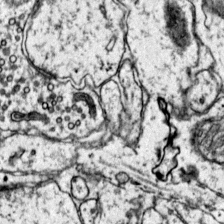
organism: Mouse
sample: Primary visual cortex